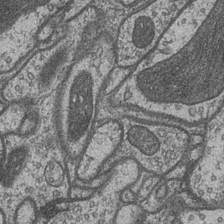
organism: Drosophila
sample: Optic medulla